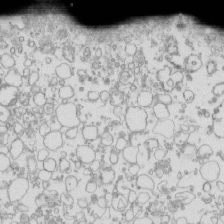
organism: Mouse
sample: Macrophages